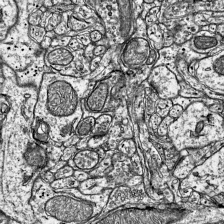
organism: Mouse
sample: Visual Cortex